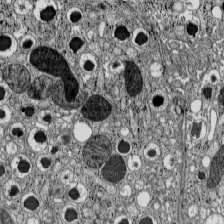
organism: C57BL Mouse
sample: Pancreatic islet